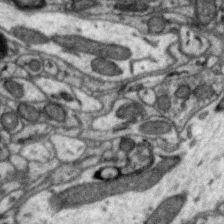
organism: Zebra finch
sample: Brain